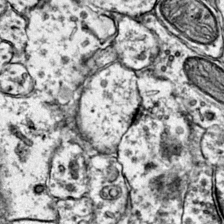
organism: Mouse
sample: Primary visual cortex